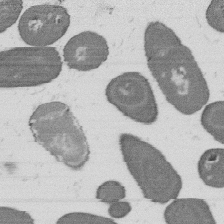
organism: B. subtilis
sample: Bacterial spore